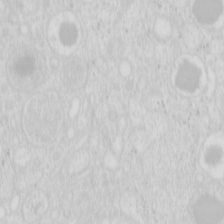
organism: Mouse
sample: Pancreas